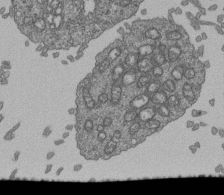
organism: Human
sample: Retinal organoid Rod and Cone cells